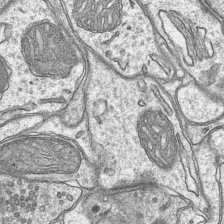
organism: Mouse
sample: CA1 Hippocampus